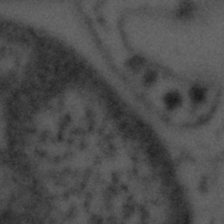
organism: Tuwongella immobilis